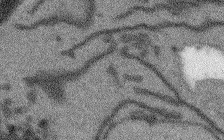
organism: Arabidopsis thaliana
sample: Root tip